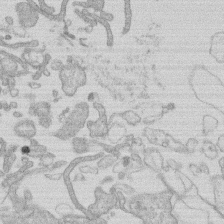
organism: Human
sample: Macrophage cells